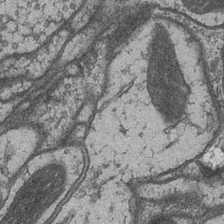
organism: Drosophila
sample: Optic medulla